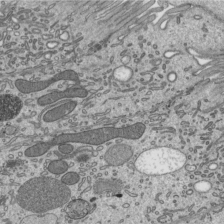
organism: Mouse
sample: Mouse epididymis efferent ductule cilia